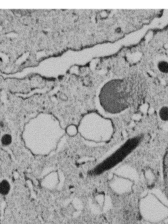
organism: C. elegans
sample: C. elegans embryo early stage